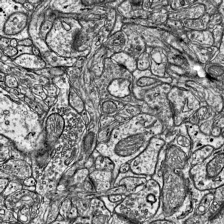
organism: Mouse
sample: Visual Cortex